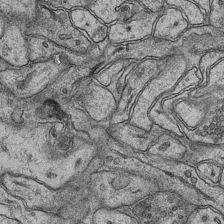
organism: Mouse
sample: CA1 Hippocampus